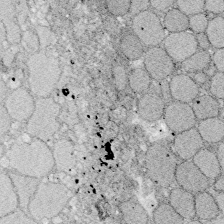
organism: Zebrafish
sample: Whole-Brain